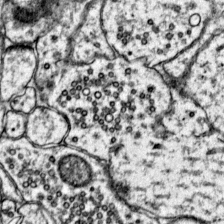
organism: Mouse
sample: Primary visual cortex